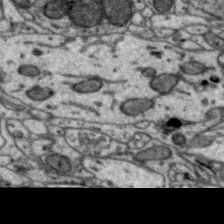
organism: Zebra finch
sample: Brain